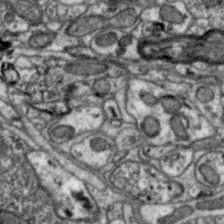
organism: Zebra finch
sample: Brain